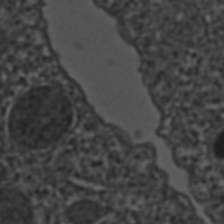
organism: C. elegans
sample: C. elegans embryo